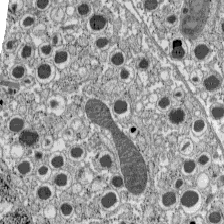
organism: C57BL Mouse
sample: Pancreatic islet